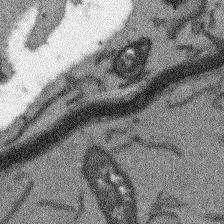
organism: Arabidopsis thaliana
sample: Root tip